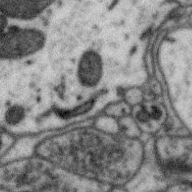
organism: Zebra finch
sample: Brain